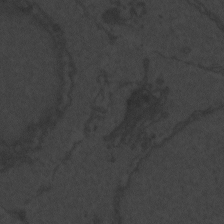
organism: Zebrafish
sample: Macrophage infected with Toxoplasma gondii